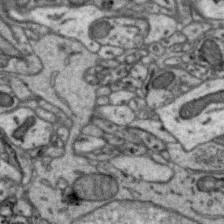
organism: Zebra finch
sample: Brain